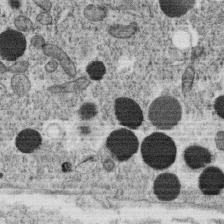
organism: C. elegans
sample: C. elegans oocyte; sperm cells